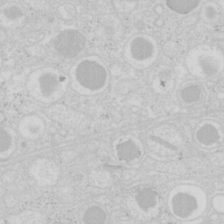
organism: Mouse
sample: Pancreas